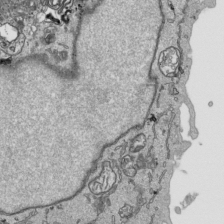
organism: Human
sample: Mitochondria in HCT116 cells